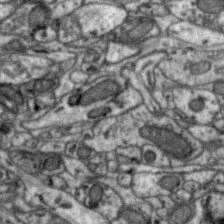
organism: Zebra finch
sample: Brain